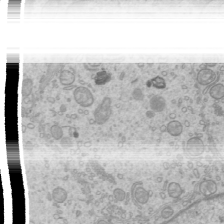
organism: Mouse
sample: Cilia; mouse epididymis